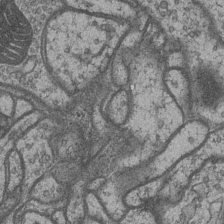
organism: Drosophila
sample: Optic medulla